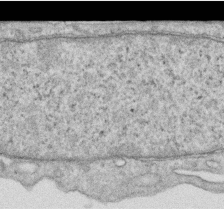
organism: Human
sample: Centriole in RPE cells